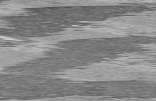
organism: C57BL Mouse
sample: Heart